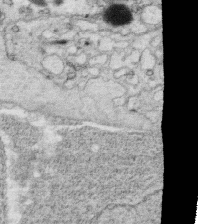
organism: C. elegans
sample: C. elegans oocyte; sperm cells